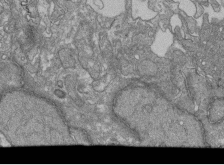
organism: Human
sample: Retinal organoid Rod and Cone cells